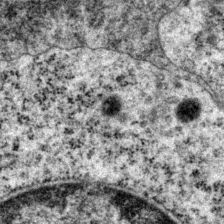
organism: P. pacificus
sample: Pharynx